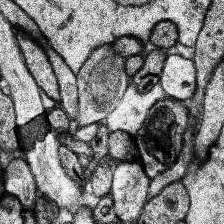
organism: Human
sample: Temporal Lobe